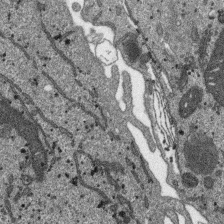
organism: Human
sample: Lung epithelial cells infected with SARS-CoV-2